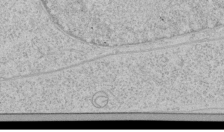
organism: Human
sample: Mitochondria in HCT116 cells